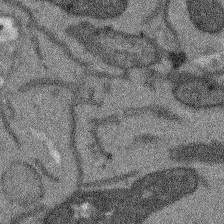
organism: Arabidopsis thaliana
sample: Root tip